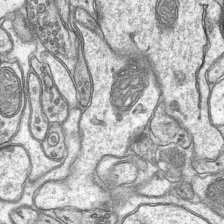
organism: Mouse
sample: CA1 Hippocampus